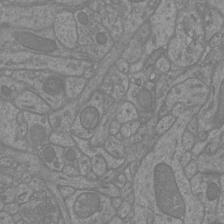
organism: Mouse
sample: Cortical neurons